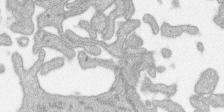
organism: Human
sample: Lung epithelial cells infected with SARS-CoV-2